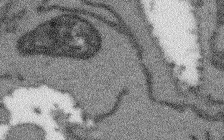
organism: Arabidopsis thaliana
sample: Root tip